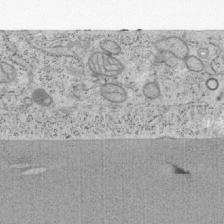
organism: Human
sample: HeLa cells